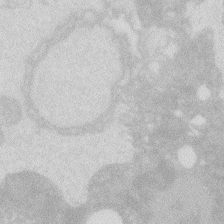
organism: Zebrafish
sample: Macrophage